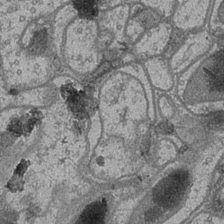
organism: Drosophila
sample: Optic medulla